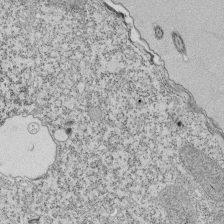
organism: Tetrahymena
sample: Cilia in tetrahymena